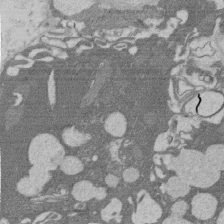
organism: Rat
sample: Salivary granule